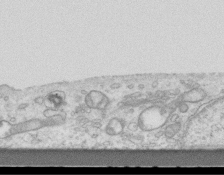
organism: Mouse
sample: Centriole in ependymal cells